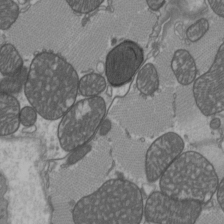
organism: C57BL Mouse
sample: Heart